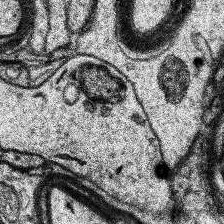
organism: Human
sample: Temporal Lobe